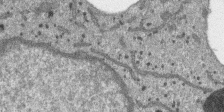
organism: Human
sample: Lung epithelial cells infected with SARS-CoV-2